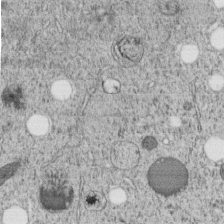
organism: C. elegans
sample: C. elegans embryo early stage